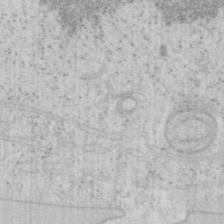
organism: Human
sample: HeLa cells